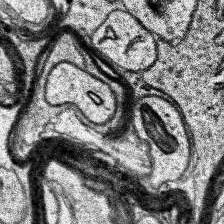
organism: Human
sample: Temporal Lobe